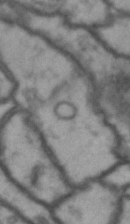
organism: Drosophila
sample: Brain